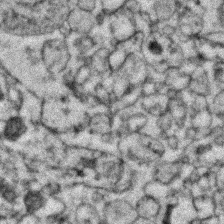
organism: Zebrafish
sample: Zebrafish embryo